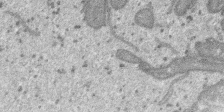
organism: Human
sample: Lung epithelial cells infected with SARS-CoV-2